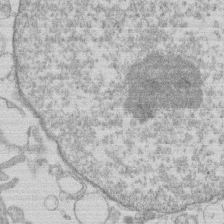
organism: Human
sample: Macrophage cells